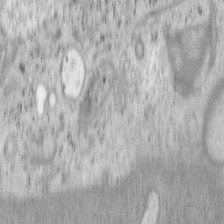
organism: Human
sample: HeLa cells